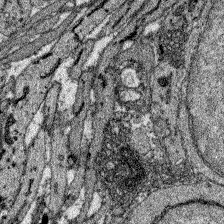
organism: Zebrafish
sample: Larval olfactory bulb